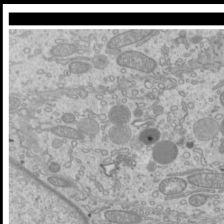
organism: Mouse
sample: Cilia; mouse epididymis